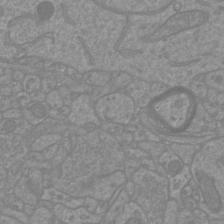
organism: Mouse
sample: Cortical neurons